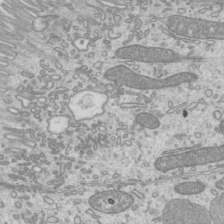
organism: Mouse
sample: Cilia; mouse epididymis